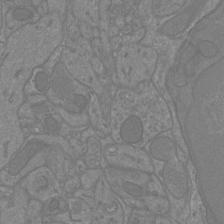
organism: Mouse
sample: Cortical neurons